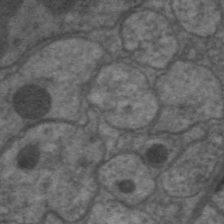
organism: C. elegans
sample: Pharynx